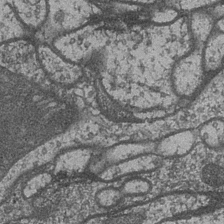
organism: Drosophila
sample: Optic medulla